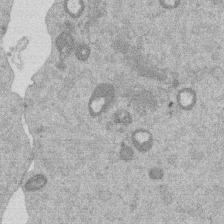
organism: Mouse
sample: Dividing mouse embryo 1 cell stage